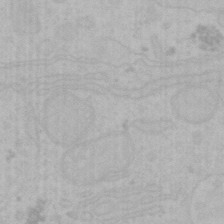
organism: Mouse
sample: Choroid plexus